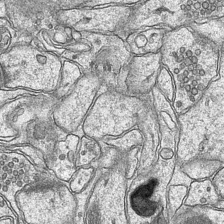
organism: Mouse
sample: CA1 Hippocampus